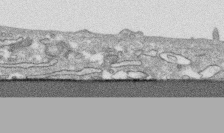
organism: Human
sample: CRL-1474